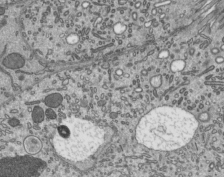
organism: Mouse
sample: Mouse epididymis efferent ductule cilia